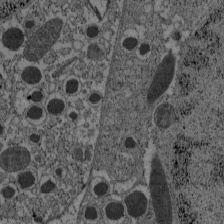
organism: C57BL Mouse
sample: Pancreatic islet